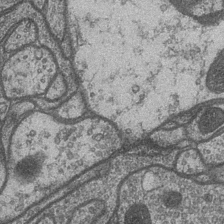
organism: Drosophila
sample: Optic medulla